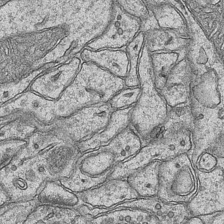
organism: Mouse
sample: CA1 Hippocampus